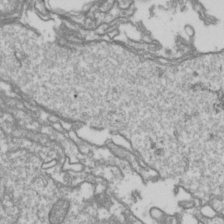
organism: Drosophila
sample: Cell division; meiosis; drosophila spermatocytes